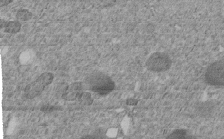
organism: C. elegans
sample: C. elegans embryo early stage